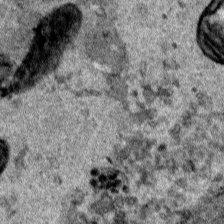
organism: Human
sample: Mitochondria in HCT116 cells